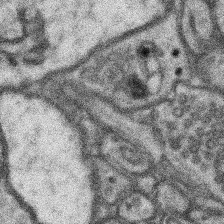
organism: Mouse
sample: Somatosensory cortex neuropil